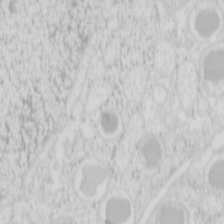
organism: Mouse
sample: Pancreas